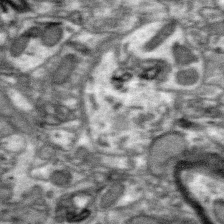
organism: Zebra finch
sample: Brain